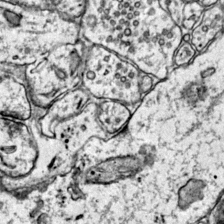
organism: Mouse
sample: Primary visual cortex